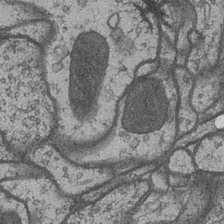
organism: Drosophila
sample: Optic medulla